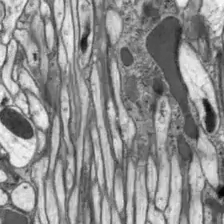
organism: Drosophila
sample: Optic lobe